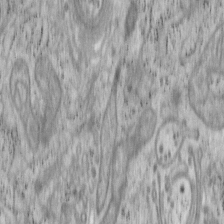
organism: Human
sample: HeLa cells